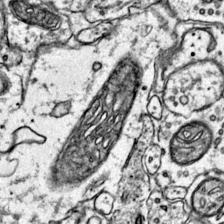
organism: Mouse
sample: Primary visual cortex